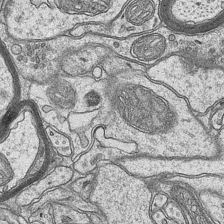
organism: Mouse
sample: CA1 Hippocampus